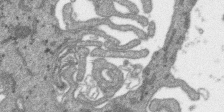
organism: Human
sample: Lung epithelial cells infected with SARS-CoV-2